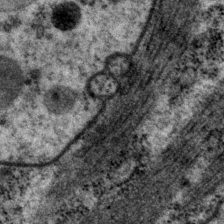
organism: P. pacificus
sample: Pharynx